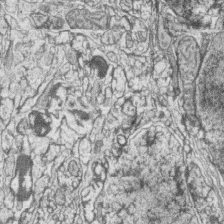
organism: Zebrafish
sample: synaptic ribbons in rod cells and cone cells